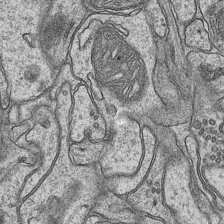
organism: Mouse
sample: CA1 Hippocampus